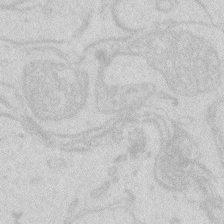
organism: Zebrafish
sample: Macrophage